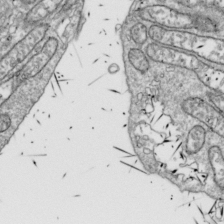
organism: Drosophila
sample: Cell division; meiosis; drosophila spermatocytes